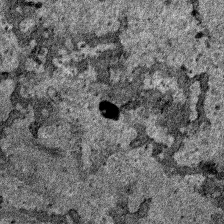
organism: Human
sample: Mitochondria in HCT116 cells